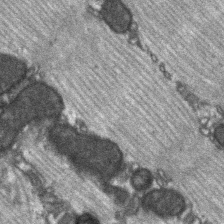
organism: C57BL Mouse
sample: Soleus